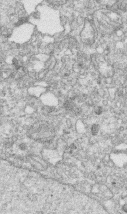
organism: Human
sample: HeLa cell HIV synapse